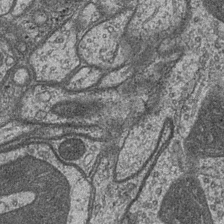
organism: Drosophila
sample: Optic medulla